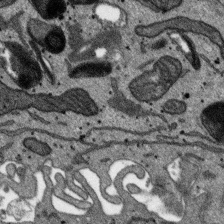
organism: Human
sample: Lung epithelial cells, uninfected (mock) control